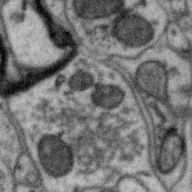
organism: Zebra finch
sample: Brain